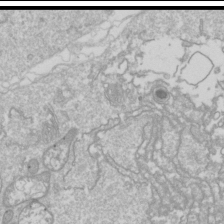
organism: Drosophila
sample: Cell division; meiosis; drosophila spermatocytes